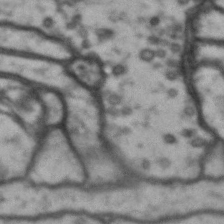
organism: Drosophila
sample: Brain